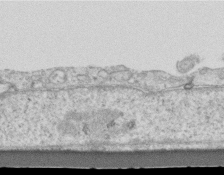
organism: Mouse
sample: Centriole in ependymal cells